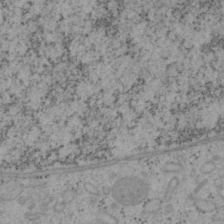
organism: Human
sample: HeLa cells